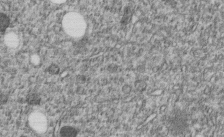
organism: C. elegans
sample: C. elegans embryo early stage